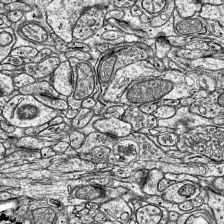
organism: Mouse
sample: Visual Cortex